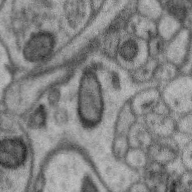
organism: Zebra finch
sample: Brain